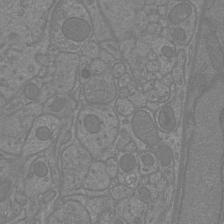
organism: Mouse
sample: Cortical neurons